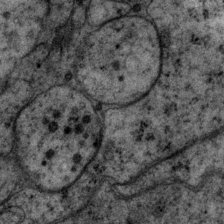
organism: P. pacificus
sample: Pharynx